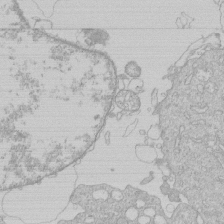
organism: Human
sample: Macrophage cells